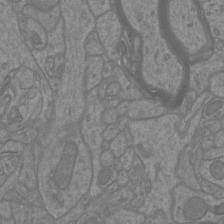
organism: Mouse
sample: Cortical neurons